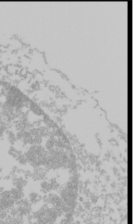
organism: Mouse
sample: Cancer cell death in ED-1 cells